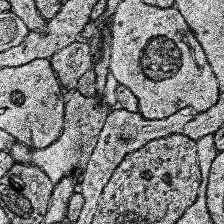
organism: Human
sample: Temporal Lobe